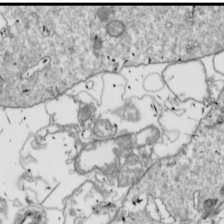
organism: Drosophila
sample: Cell division; meiosis; drosophila spermatocytes